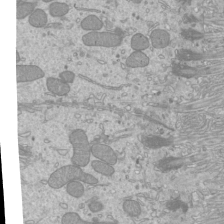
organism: Mouse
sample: Cilia; mouse epididymis